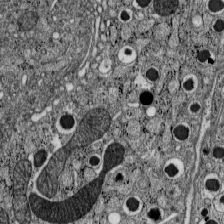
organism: C57BL Mouse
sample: Pancreatic islet